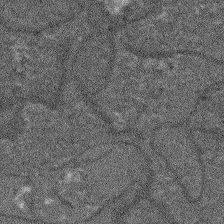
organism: Arabidopsis thaliana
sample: Root tip